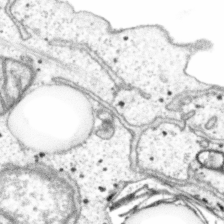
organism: Human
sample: HeLa cells